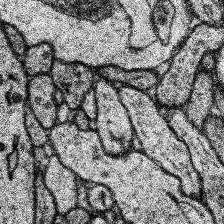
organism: Human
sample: Temporal Lobe